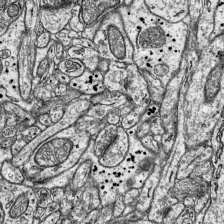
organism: Mouse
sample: Visual Cortex